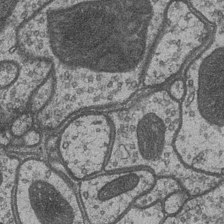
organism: Drosophila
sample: Optic medulla